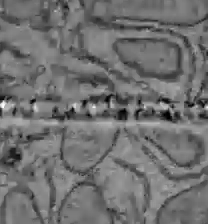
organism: C57BL Mouse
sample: Liver